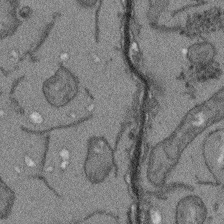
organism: Arabidopsis thaliana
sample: Root tip